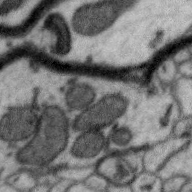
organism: Zebra finch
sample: Brain